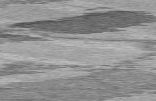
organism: C57BL Mouse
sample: Heart